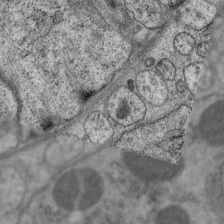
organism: C. elegans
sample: Pharynx